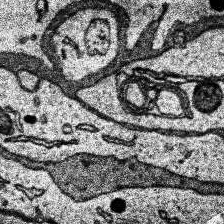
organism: Human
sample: Temporal Lobe